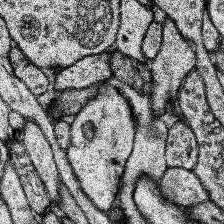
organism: Human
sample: Temporal Lobe